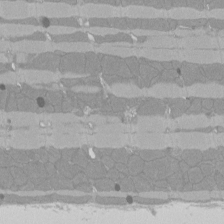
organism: Rat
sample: Left ventricle